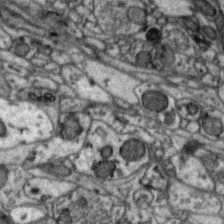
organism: Zebra finch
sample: Brain